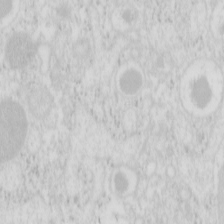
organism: Mouse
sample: Pancreas